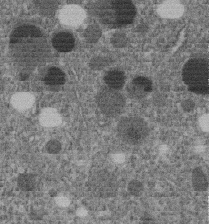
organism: C. elegans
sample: C. elegans embryo early stage